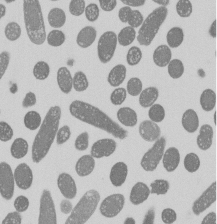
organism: E. coli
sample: Bacterial nucleoid